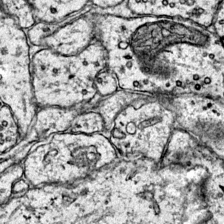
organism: Mouse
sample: Primary visual cortex